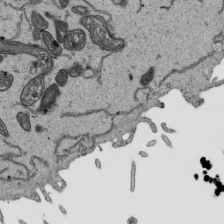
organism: Human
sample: Mitochondria in HCT116 cells